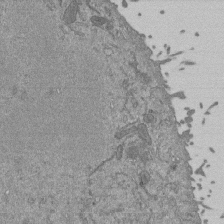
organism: Mouse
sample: ED-1 cell nuclei; centrioles